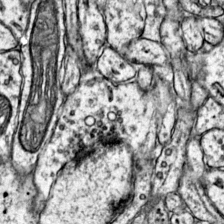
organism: Mouse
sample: Primary visual cortex